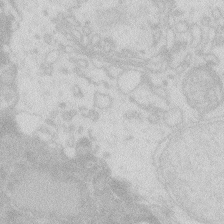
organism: Zebrafish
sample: Macrophage